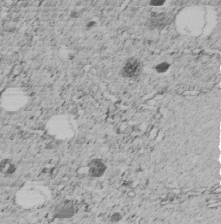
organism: C. elegans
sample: C. elegans embryo early stage